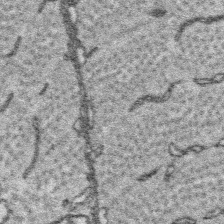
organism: Platynereis dumerilii